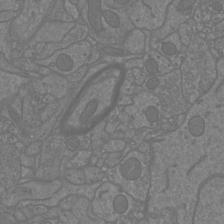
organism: Mouse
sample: Cortical neurons